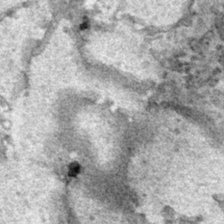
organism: Human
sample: Mitochondria in HCT116 cells